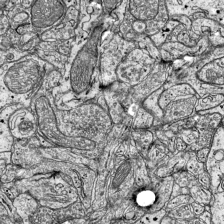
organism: Mouse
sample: Visual Cortex